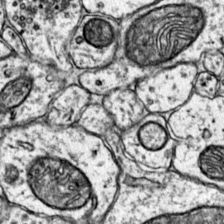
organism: Mouse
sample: Primary visual cortex